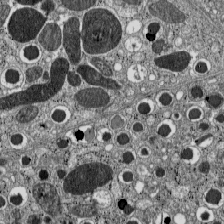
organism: C57BL Mouse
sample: Pancreatic islet